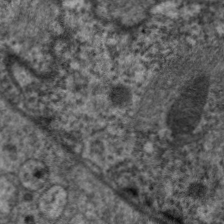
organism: C. elegans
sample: Pharynx